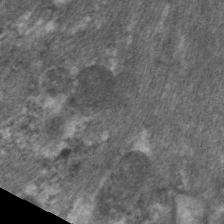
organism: C. elegans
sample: Pharynx